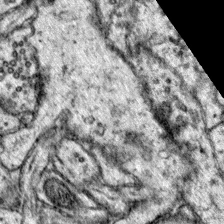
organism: Mouse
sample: Primary visual cortex